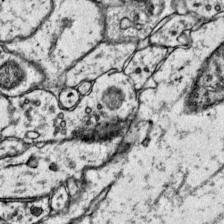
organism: Mouse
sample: Primary visual cortex